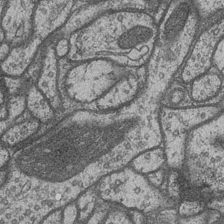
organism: Drosophila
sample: Optic medulla